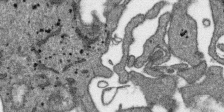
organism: Human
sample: Lung epithelial cells, uninfected (mock) control